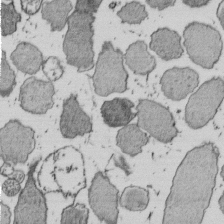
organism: E. coli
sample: Bacterial nucleoid